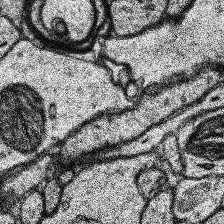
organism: Human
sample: Temporal Lobe